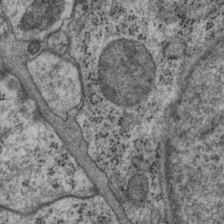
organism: P. pacificus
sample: Pharynx